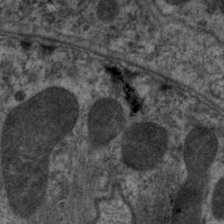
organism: C. elegans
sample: Pharynx